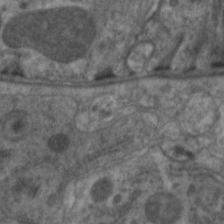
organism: C. elegans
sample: Pharynx